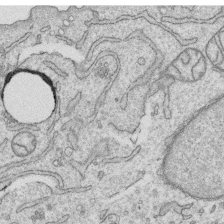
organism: Human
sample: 1205lu cells